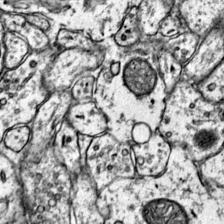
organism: Mouse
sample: Primary visual cortex